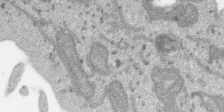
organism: Human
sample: Lung epithelial cells infected with SARS-CoV-2